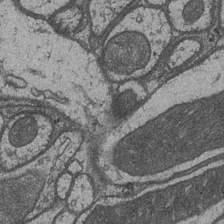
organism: Drosophila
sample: Optic medulla